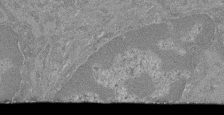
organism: Mouse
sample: Glomerulus